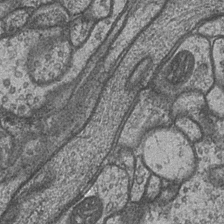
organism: Drosophila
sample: Optic medulla